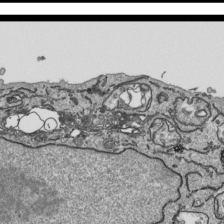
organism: Human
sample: Mitochondria in HCT116 cells